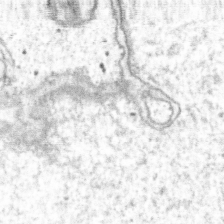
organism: Human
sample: HeLa cells